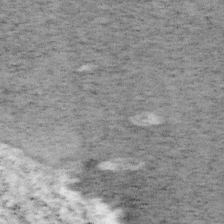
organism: Mouse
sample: OT-I killer T cells with ID8 ovarian cancer cells